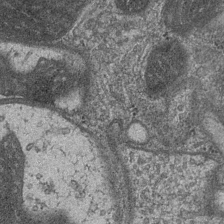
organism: Drosophila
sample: Optic medulla